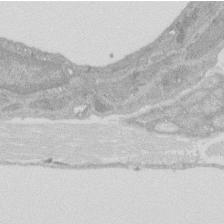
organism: Rat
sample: Salivary granule